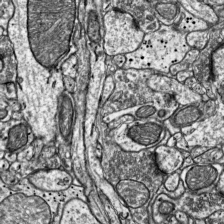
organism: Mouse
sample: Visual Cortex